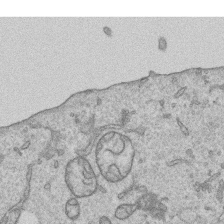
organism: Human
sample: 1205lu cells